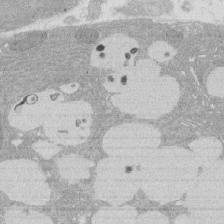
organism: Rat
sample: Salivary granule